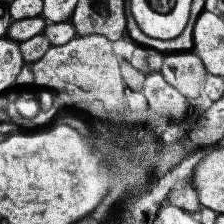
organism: Human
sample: Temporal Lobe